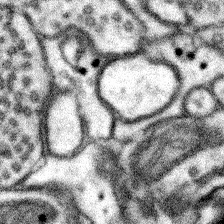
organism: Mouse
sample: Somatosensory cortex neuropil